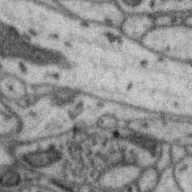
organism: Zebra finch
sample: Brain